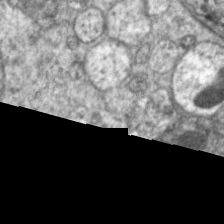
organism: C. elegans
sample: Pharynx